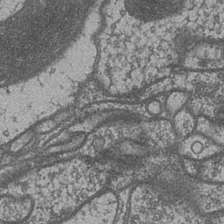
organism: Drosophila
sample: Optic medulla